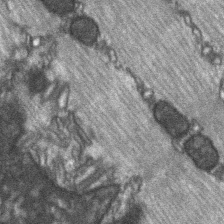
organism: C57BL Mouse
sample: Soleus